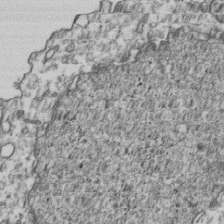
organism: Human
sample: Activated Jurkat CD4+ T cells